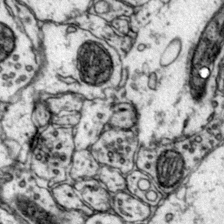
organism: Mouse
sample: Primary visual cortex